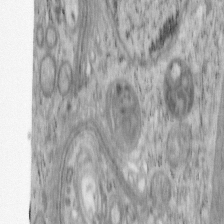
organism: Human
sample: HeLa cells